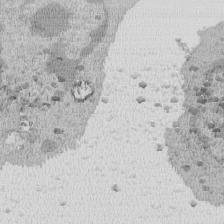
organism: Mouse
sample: Activated Pmel transgenic CD8+ T Cells